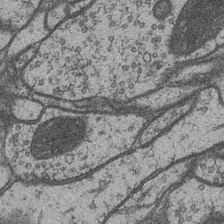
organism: Drosophila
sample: Optic medulla